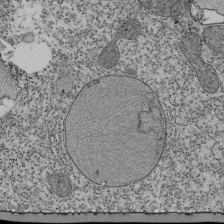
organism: Tetrahymena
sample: Cilia in tetrahymena